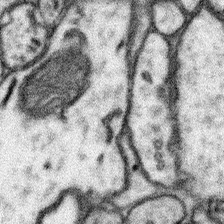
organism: Mouse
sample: Somatosensory cortex neuropil